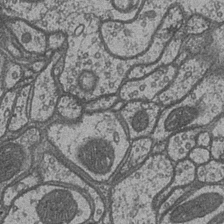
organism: Drosophila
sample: Optic medulla